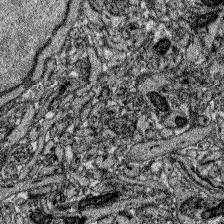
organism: Zebrafish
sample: Larval olfactory bulb